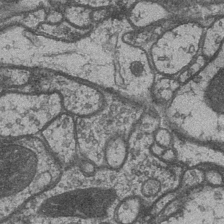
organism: Drosophila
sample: Optic medulla